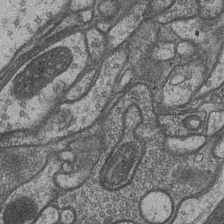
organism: Drosophila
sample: Optic medulla